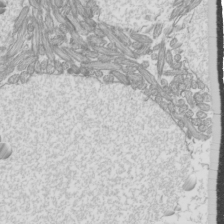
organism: Mouse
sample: Cilia; mouse epididymis